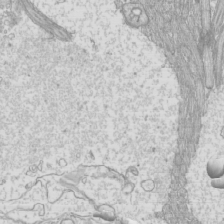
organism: Mouse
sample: Cilia; mouse epididymis